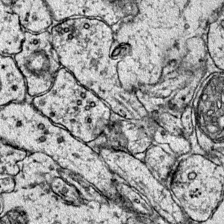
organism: Mouse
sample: Primary visual cortex